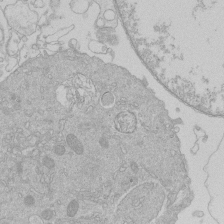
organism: Human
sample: Macrophage cells